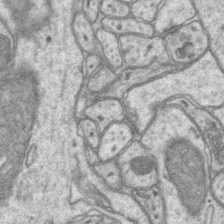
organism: Mouse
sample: CA1 Hippocampus